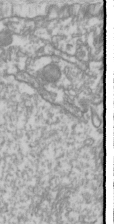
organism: Drosophila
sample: Cell division; meiosis; drosophila spermatocytes